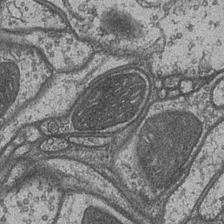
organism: Drosophila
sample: Optic medulla